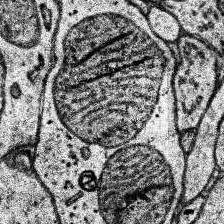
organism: Human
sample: Temporal Lobe